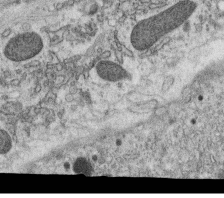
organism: C. elegans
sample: C. elegans oocyte; sperm cells